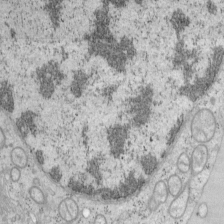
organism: Mouse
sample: OT-I killer T cells with ID8 ovarian cancer cells